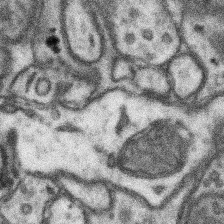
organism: Mouse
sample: Somatosensory cortex neuropil